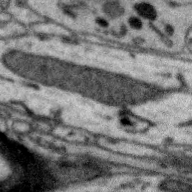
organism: Zebra finch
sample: Brain